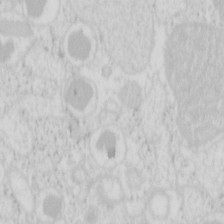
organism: Mouse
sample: Pancreas